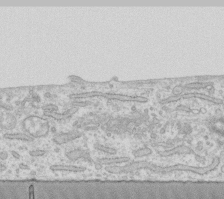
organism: Human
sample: Fibroblast cells